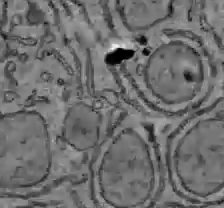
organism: C57BL Mouse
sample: Liver